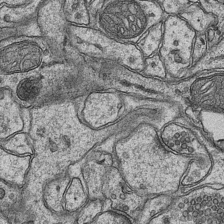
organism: Mouse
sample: CA1 Hippocampus